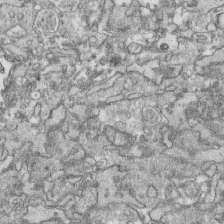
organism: Human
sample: CRL-1474